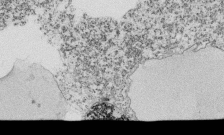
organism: Tetrahymena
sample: Cilia in tetrahymena